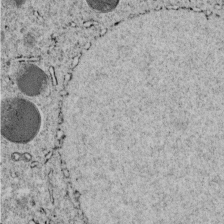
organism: C. elegans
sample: C. elegans embryo early stage